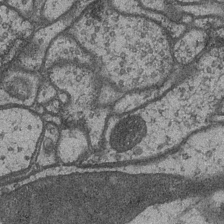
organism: Drosophila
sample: Optic medulla